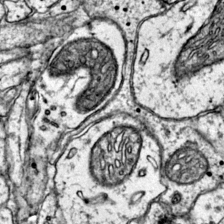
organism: Mouse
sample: Primary visual cortex